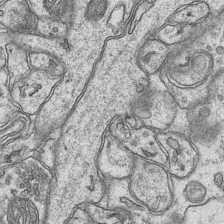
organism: Mouse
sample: CA1 Hippocampus